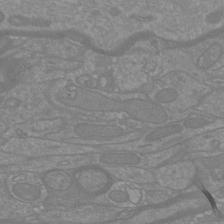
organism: Mouse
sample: Cortical neurons